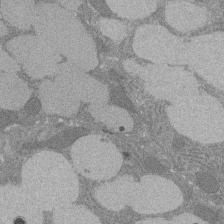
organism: Rat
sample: Salivary granule